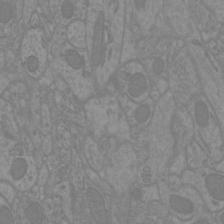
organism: Mouse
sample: Cortical neurons